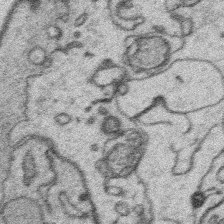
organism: Platynereis dumerilii